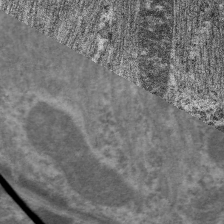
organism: C. elegans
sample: Pharynx